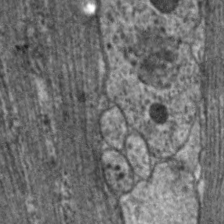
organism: C. elegans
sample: Pharynx